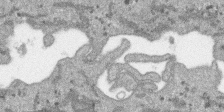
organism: Human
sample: Lung epithelial cells infected with SARS-CoV-2